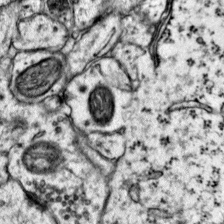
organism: Mouse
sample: Primary visual cortex